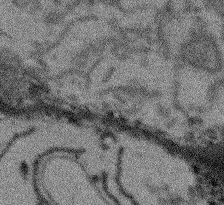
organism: Arabidopsis thaliana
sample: Root tip